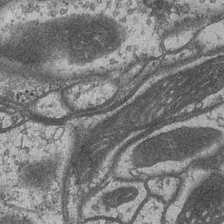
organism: Drosophila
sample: Optic medulla